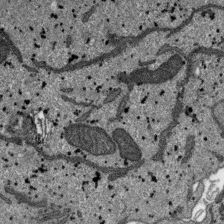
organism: Human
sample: Lung epithelial cells, uninfected (mock) control